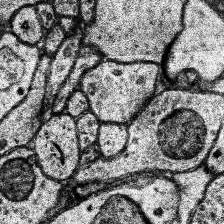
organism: Human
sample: Temporal Lobe